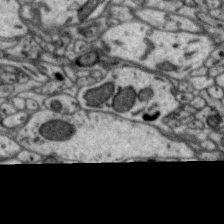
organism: Zebra finch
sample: Brain